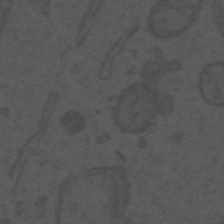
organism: Mouse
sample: Suprachiasmatic nucleus